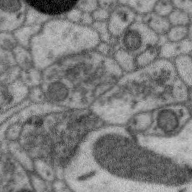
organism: Zebra finch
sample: Brain